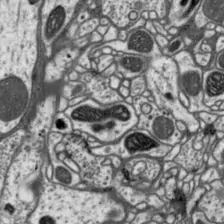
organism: Drosophila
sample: Protocerebral bridge